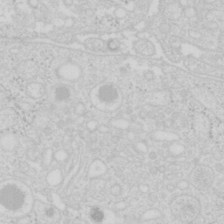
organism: Mouse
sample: Pancreas